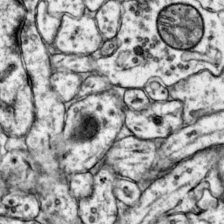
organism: Mouse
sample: Primary visual cortex